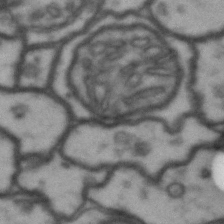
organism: Drosophila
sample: Brain